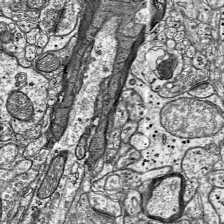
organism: Mouse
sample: Visual Cortex